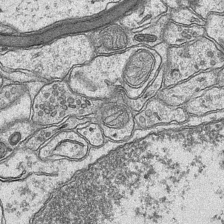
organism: Mouse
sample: CA1 Hippocampus